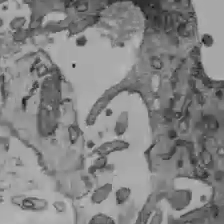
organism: C57BL Mouse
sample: Liver